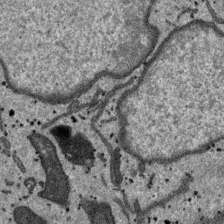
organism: Human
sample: Lung epithelial cells, uninfected (mock) control